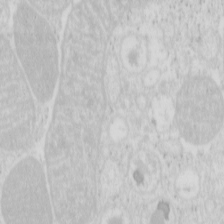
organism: Mouse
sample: Pancreas